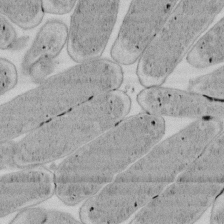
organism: E. coli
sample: Bacterial nucleoid